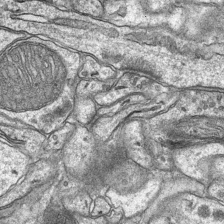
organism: Mouse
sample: CA1 Hippocampus